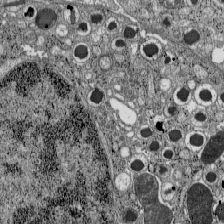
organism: C57BL Mouse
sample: Pancreatic islet